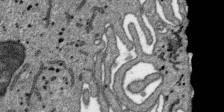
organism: Human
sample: Lung epithelial cells, uninfected (mock) control